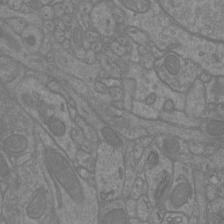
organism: Mouse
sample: Cortical neurons